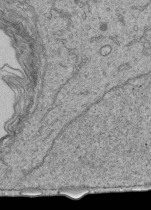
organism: Human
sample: Retinal organoid Rod and Cone cells